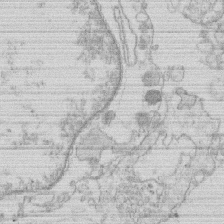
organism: Human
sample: Macrophage cells